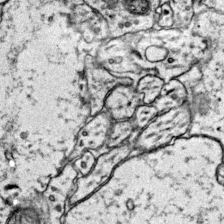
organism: Mouse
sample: Primary visual cortex